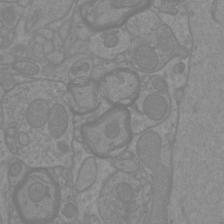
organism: Mouse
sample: Cortical neurons